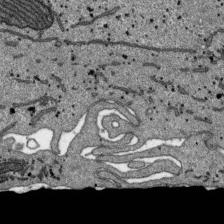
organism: Human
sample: Lung epithelial cells, uninfected (mock) control